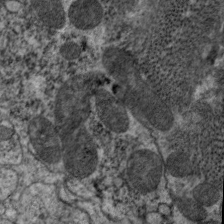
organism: C. elegans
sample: Pharynx